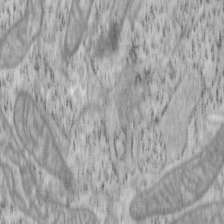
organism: Human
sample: HeLa cells